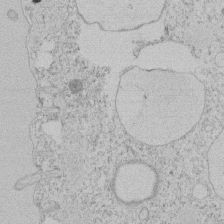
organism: Tetrahymena